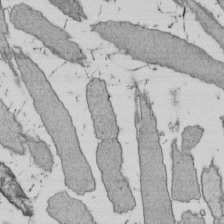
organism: E. coli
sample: Bacterial nucleoid